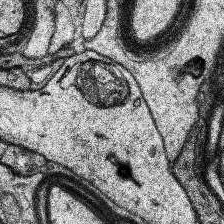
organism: Human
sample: Temporal Lobe